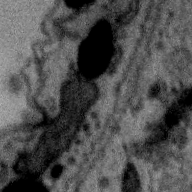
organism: Zebra finch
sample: Brain